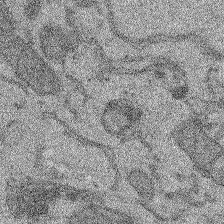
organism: Human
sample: HeLa cells